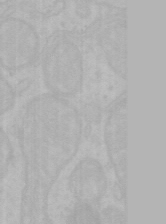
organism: Mouse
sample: Choroid plexus